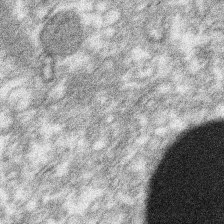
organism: Xenopus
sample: Cilia; centrioles in frog embryo cells